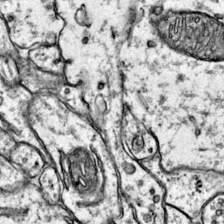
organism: Mouse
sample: Primary visual cortex